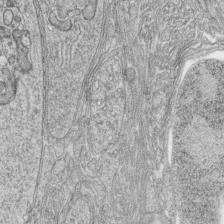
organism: Zebrafish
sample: synaptic ribbons in rod cells and cone cells